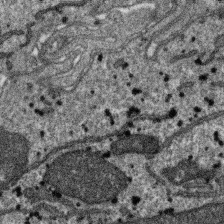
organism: Human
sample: Lung epithelial cells infected with SARS-CoV-2